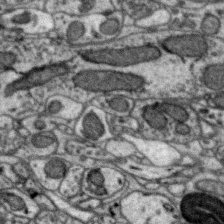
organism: Zebra finch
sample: Brain